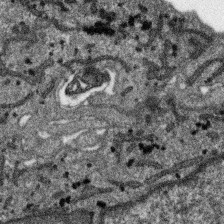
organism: Human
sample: Lung epithelial cells infected with SARS-CoV-2